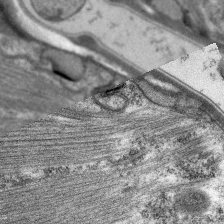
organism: C. elegans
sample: Pharynx